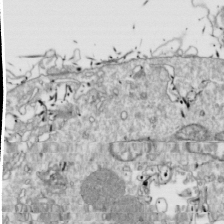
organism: Drosophila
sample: Cell division; meiosis; drosophila spermatocytes